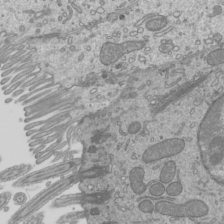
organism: Mouse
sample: Cilia; mouse epididymis